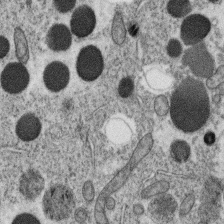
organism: C. elegans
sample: C. elegans oocyte; sperm cells